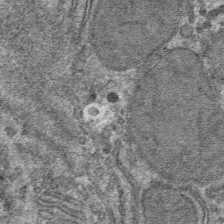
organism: Mouse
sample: Mouse hepatocytes